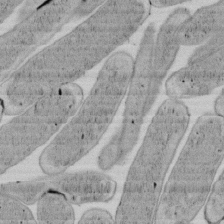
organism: E. coli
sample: Bacterial nucleoid